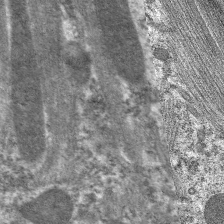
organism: C. elegans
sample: Pharynx